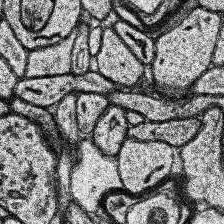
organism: Human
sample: Temporal Lobe